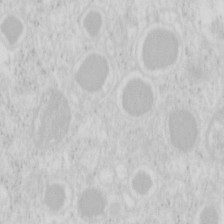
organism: Mouse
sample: Pancreas